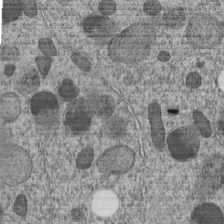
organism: C. elegans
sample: C. elegans embryo early stage